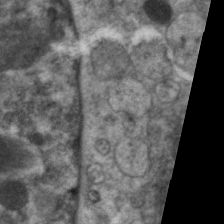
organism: C. elegans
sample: Pharynx